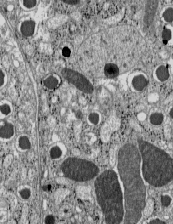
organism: C57BL Mouse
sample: Pancreatic islet